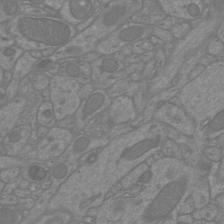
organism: Mouse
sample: Cortical neurons